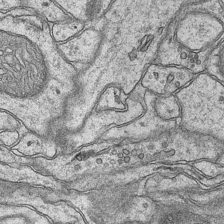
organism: Mouse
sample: CA1 Hippocampus